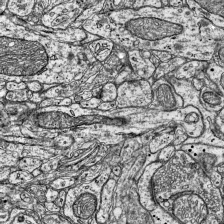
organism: Mouse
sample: Visual Cortex